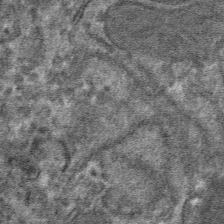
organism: Mouse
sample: Mouse hepatocytes